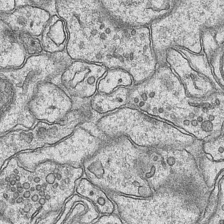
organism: Mouse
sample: CA1 Hippocampus